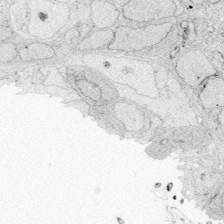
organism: Zebrafish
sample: Whole-Brain